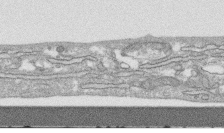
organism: Human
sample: CRL-1474